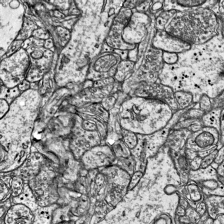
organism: Mouse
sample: Visual Cortex